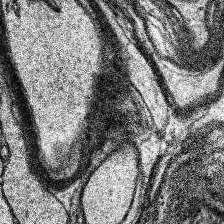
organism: Human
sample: Temporal Lobe